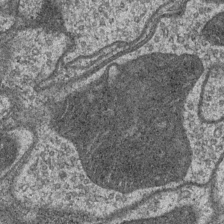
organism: Drosophila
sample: Optic medulla